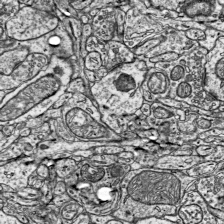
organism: Mouse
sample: Visual Cortex